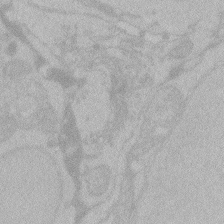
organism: Zebrafish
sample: Macrophage infected with Toxoplasma gondii